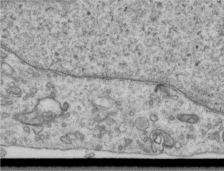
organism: Human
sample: Centriole in RPE cells